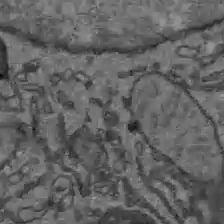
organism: C57BL Mouse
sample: Liver